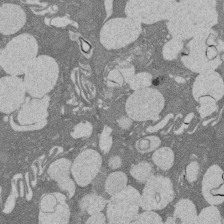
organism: Rat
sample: Salivary granule